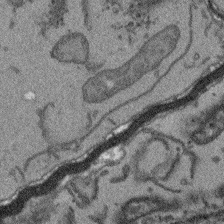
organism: Arabidopsis thaliana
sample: Root tip